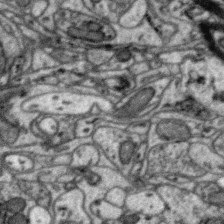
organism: Zebra finch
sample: Brain